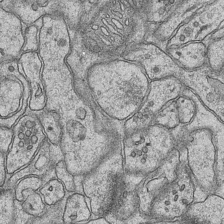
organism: Mouse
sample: CA1 Hippocampus